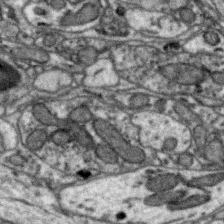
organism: Zebra finch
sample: Brain